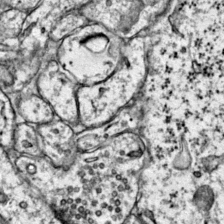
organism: Mouse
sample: Primary visual cortex